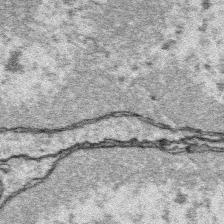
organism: Platynereis dumerilii